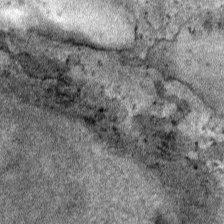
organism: Human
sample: Mitochondria in HCT116 cells